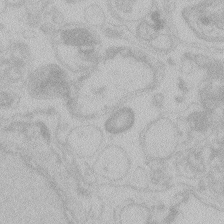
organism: Zebrafish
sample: Macrophage infected with Toxoplasma gondii